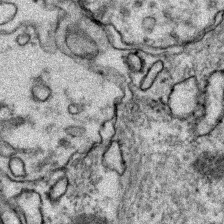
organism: Zebrafish